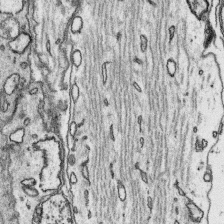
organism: Platynereis dumerilii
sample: Parapodia